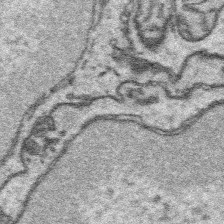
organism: Platynereis dumerilii